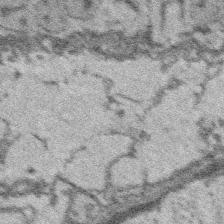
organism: Platynereis dumerilii